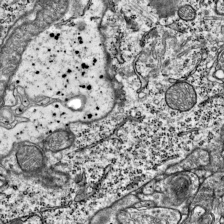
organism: Mouse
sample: Visual Cortex